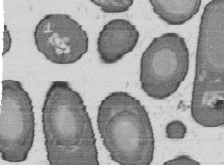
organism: B. subtilis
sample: Bacterial spore